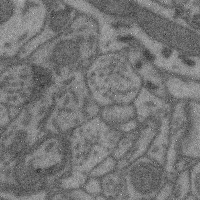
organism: Mouse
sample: Cerebral cortex